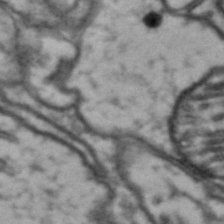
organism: Drosophila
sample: Brain